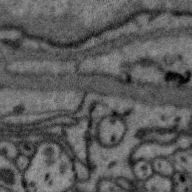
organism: Zebra finch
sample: Brain